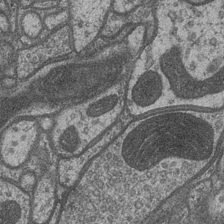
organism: Drosophila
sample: Optic medulla